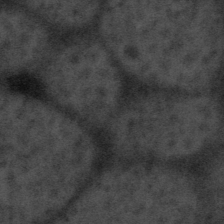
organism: Tuwongella immobilis